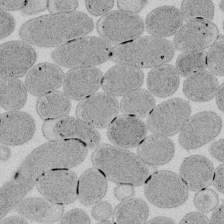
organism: E. coli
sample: Bacterial nucleoid